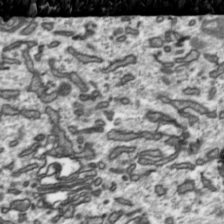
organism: Toxoplasma gondii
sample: Parasites in a vacuole inside a host cell